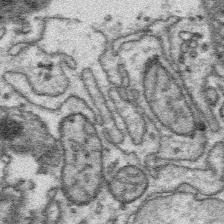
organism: Platynereis dumerilii